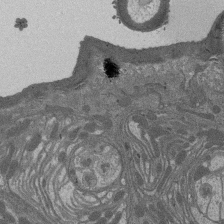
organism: Drosophila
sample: Antenna